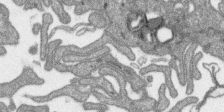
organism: Human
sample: Lung epithelial cells infected with SARS-CoV-2